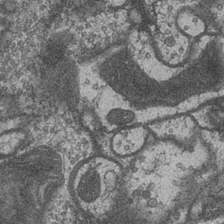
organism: Drosophila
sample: Optic medulla